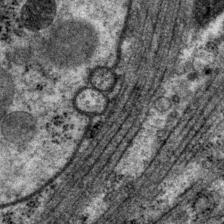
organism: P. pacificus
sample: Pharynx